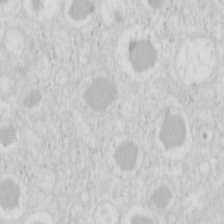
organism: Mouse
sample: Pancreas